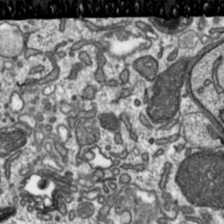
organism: Toxoplasma gondii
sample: Parasites in a vacuole inside a host cell